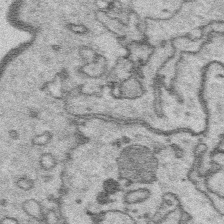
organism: Platynereis dumerilii